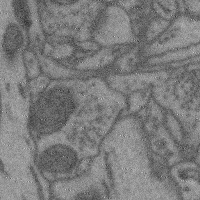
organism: Mouse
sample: Cerebral cortex